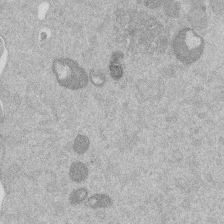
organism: Mouse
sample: Dividing mouse embryo 1 cell stage